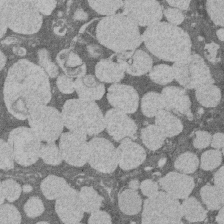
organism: Rat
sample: Salivary granule